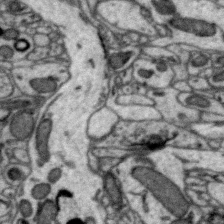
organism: Zebra finch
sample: Brain